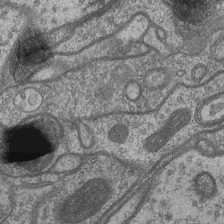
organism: Drosophila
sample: Optic medulla